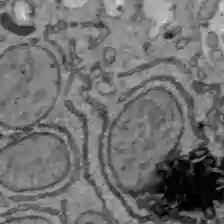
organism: C57BL Mouse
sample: Liver